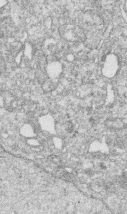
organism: Human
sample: HeLa cell HIV synapse